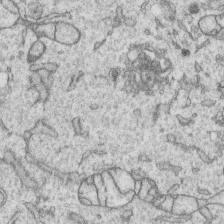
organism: Human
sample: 1205lu cells